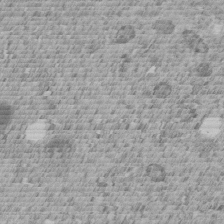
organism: C. elegans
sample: C. elegans embryo early stage